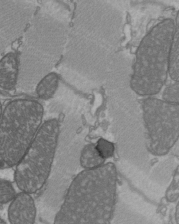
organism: C57BL Mouse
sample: Heart